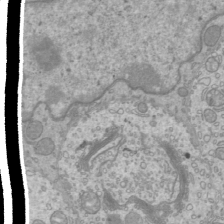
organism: Mouse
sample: Cilia; mouse epididymis